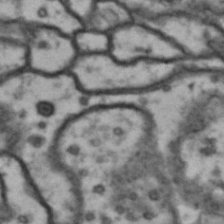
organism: Drosophila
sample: Brain